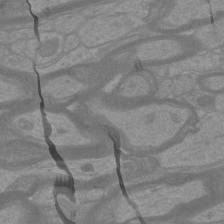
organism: Mouse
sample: Cortical neurons